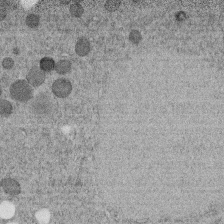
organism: C. elegans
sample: C. elegans embryo early stage